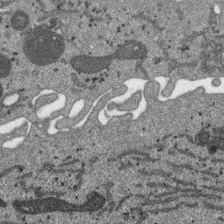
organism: Human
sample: Lung epithelial cells infected with SARS-CoV-2